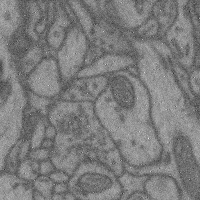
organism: Mouse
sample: Cerebral cortex